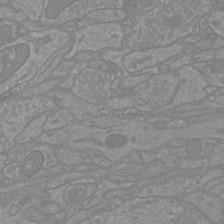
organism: Mouse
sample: Cortical neurons